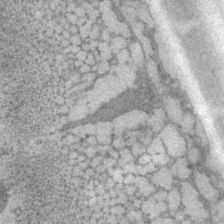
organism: P. pacificus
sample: Pharynx